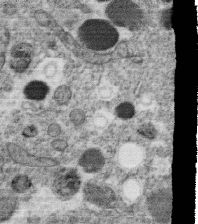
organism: C. elegans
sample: C. elegans oocyte; sperm cells